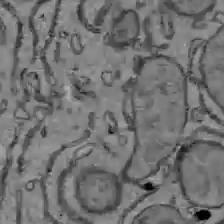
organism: C57BL Mouse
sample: Liver